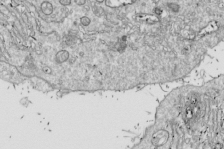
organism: Drosophila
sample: Cell division; meiosis; drosophila spermatocytes